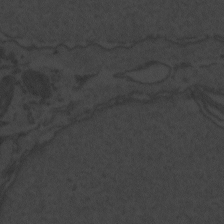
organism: Zebrafish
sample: Macrophage infected with Toxoplasma gondii